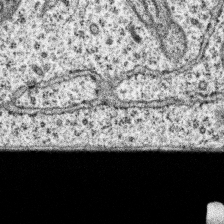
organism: Human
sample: HeLa cells